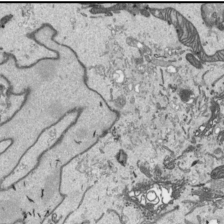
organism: Human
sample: Mitochondria in HCT116 cells